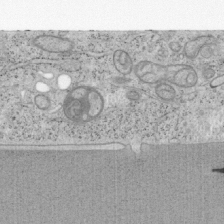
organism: Human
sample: HeLa cells